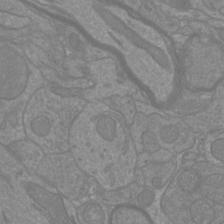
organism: Mouse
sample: Cortical neurons